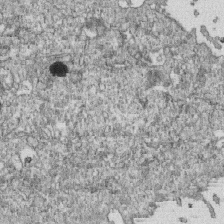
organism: Human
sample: HeLa cell HIV synapse